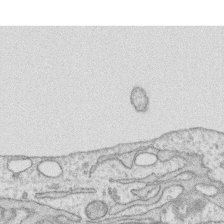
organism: Human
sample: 1205lu cells